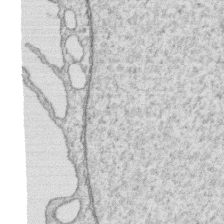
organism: Human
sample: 1205lu cells